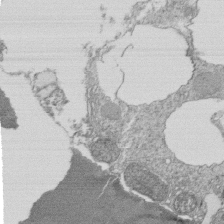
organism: Tetrahymena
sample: Cilia in tetrahymena